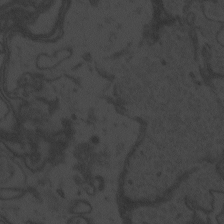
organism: Zebrafish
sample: Macrophage infected with Toxoplasma gondii